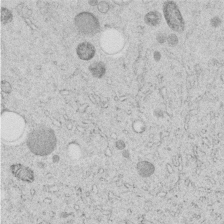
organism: C. elegans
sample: C. elegans embryo early stage